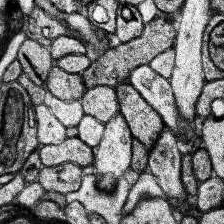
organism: Human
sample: Temporal Lobe